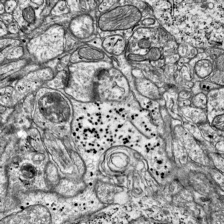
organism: Mouse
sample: Visual Cortex